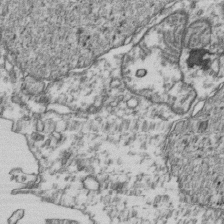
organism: Human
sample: Activated Jurkat CD4+ T cells